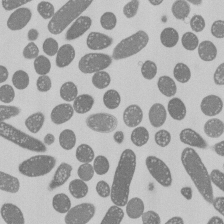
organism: E. coli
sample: Bacterial nucleoid